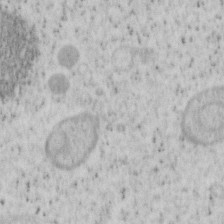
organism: Human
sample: HeLa cells